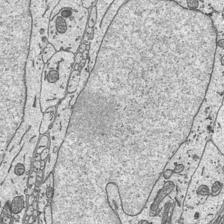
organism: Mouse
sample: Suprachiasmatic nucleus